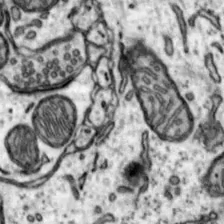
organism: Mouse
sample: Nucleus accumbens